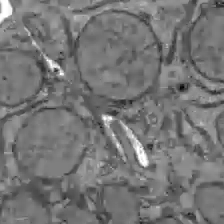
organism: C57BL Mouse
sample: Liver